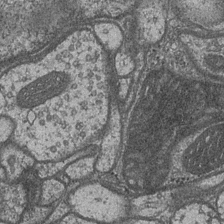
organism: Drosophila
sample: Optic medulla